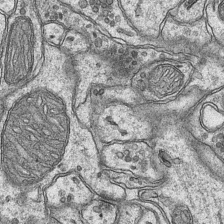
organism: Mouse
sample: CA1 Hippocampus